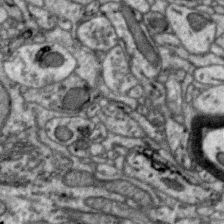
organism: Zebra finch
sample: Brain